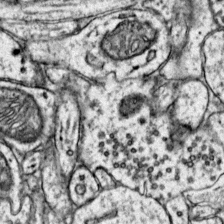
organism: Mouse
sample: Primary visual cortex